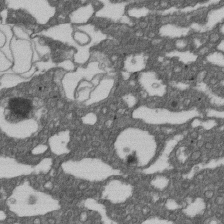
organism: Drosophila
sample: Nephrocyte